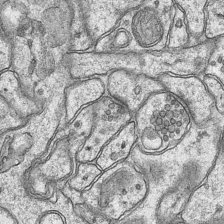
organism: Mouse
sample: CA1 Hippocampus